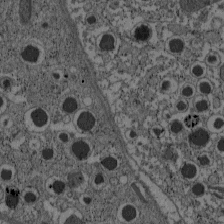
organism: C57BL Mouse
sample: Pancreatic islet